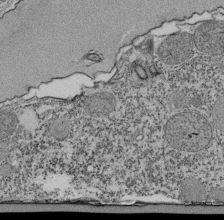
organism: Tetrahymena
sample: Cilia in tetrahymena